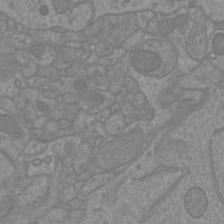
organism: Mouse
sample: Cortical neurons